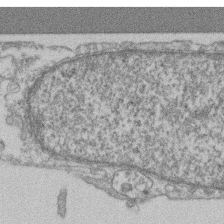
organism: Mouse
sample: T cell stromal cell synapse